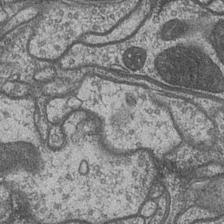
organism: Drosophila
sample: Optic medulla